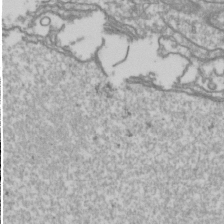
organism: Drosophila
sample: Cell division; meiosis; drosophila spermatocytes